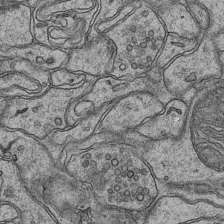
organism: Mouse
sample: CA1 Hippocampus